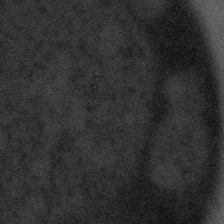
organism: Tuwongella immobilis